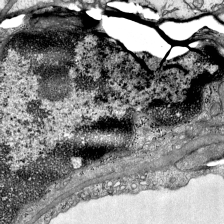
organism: Mouse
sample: Visual Cortex